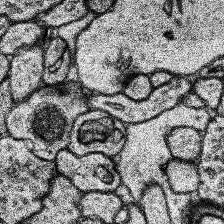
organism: Human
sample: Temporal Lobe